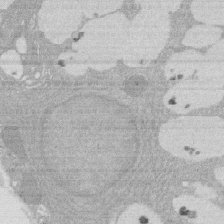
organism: Rat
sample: Salivary granule